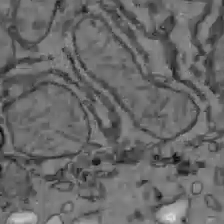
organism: C57BL Mouse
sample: Liver